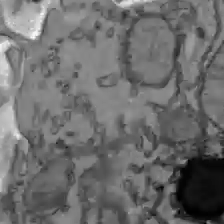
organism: C57BL Mouse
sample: Liver